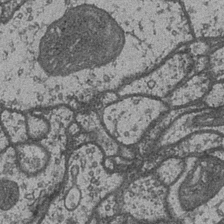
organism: Drosophila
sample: Optic medulla